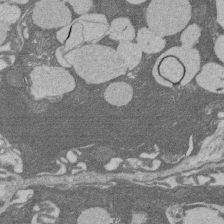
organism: Rat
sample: Salivary granule